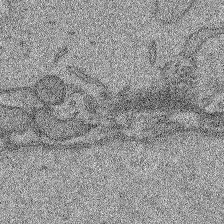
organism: Human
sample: HeLa cells